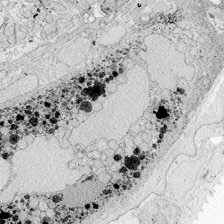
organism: Zebrafish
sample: Whole-Brain